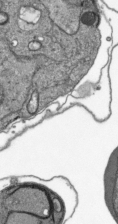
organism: Plasmodium falciparum